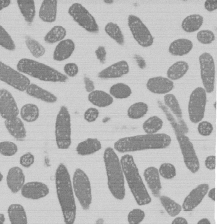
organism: E. coli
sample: Bacterial nucleoid